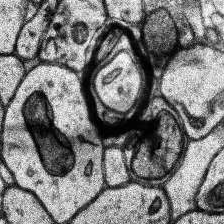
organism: Human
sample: Temporal Lobe